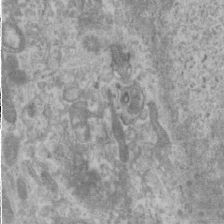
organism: Human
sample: Cilia; basal body in RPE cells